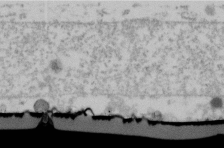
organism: Human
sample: U2-OS cells